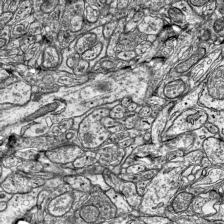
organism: Mouse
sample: Visual Cortex